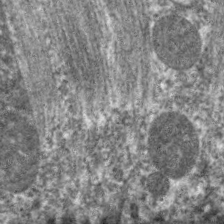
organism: C. elegans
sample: Pharynx